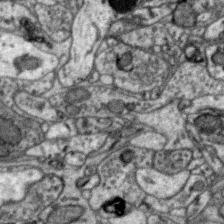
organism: Zebra finch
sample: Brain